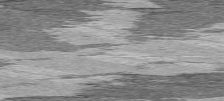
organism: C57BL Mouse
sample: Heart